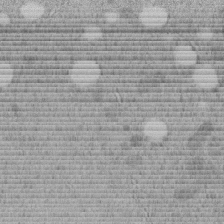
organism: C. elegans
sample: C. elegans embryo early stage